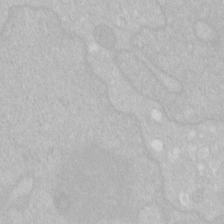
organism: Human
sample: HIV infected U937 cells